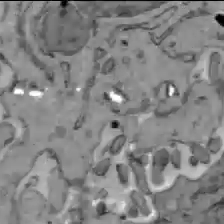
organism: C57BL Mouse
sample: Liver